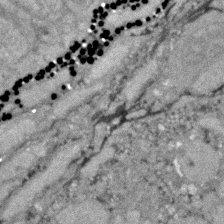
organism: Zebrafish